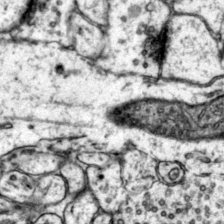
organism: Mouse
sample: Primary visual cortex